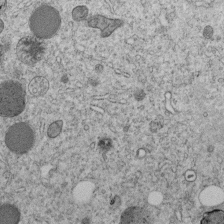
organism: C. elegans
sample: C. elegans embryo early stage